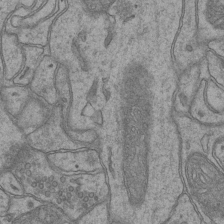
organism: Mouse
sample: CA1 Hippocampus